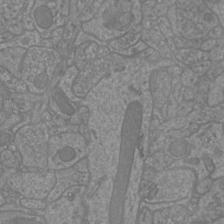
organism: Mouse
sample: Cortical neurons